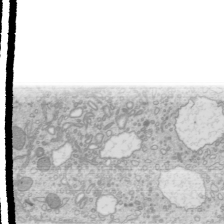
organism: Mouse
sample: Cilia; mouse epididymis